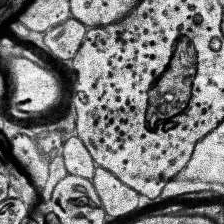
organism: Human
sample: Temporal Lobe